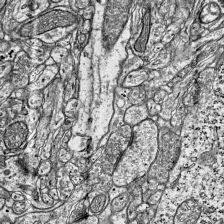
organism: Mouse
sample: Visual Cortex